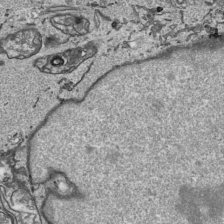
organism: Human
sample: Mitochondria in HCT116 cells